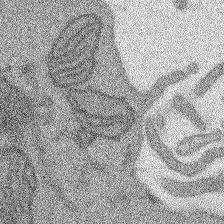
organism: Human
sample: HeLa cells